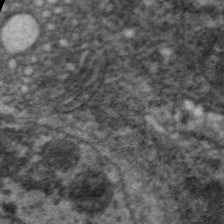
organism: C. elegans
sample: Pharynx